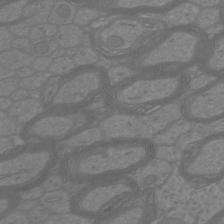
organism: Mouse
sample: Cortical neurons